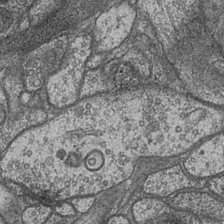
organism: Drosophila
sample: Optic medulla